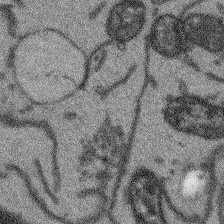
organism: Arabidopsis thaliana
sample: Root tip